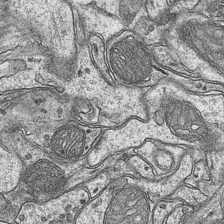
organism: Mouse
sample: CA1 Hippocampus